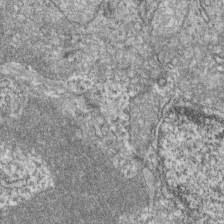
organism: Zebrafish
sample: Cilia; retinal pigment epithelium